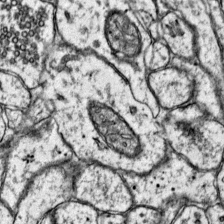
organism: Mouse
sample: Primary visual cortex